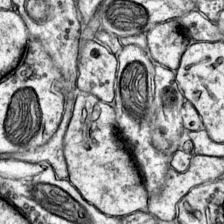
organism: Mouse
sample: Primary visual cortex